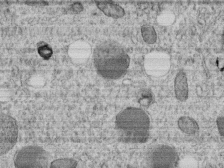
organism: C. elegans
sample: C. elegans embryo early stage